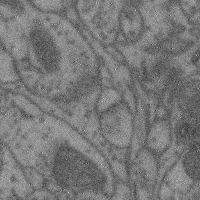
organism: Mouse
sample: Cerebral cortex